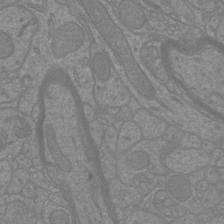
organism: Mouse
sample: Cortical neurons